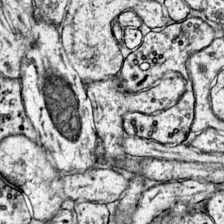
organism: Mouse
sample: Primary visual cortex